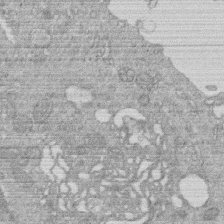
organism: Human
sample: Macrophage cells